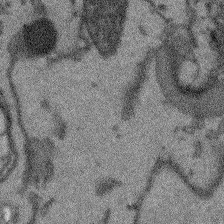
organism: Arabidopsis thaliana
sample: Root tip